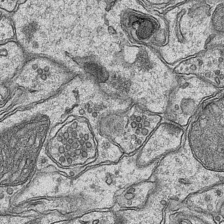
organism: Mouse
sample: CA1 Hippocampus